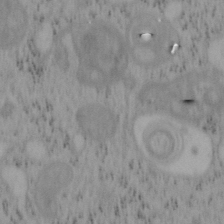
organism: Mouse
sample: OT-I killer T cells with ID8 ovarian cancer cells